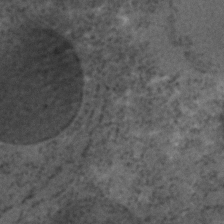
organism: C. elegans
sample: C. elegans embryo